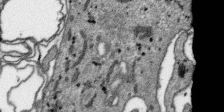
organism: Human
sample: Lung epithelial cells, uninfected (mock) control